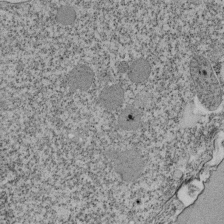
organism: Tetrahymena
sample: Cilia in tetrahymena